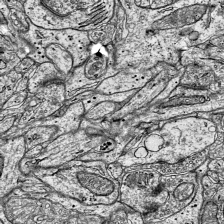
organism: Mouse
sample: Visual Cortex